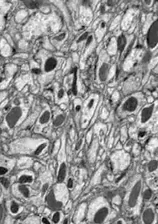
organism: Drosophila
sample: Optic lobe